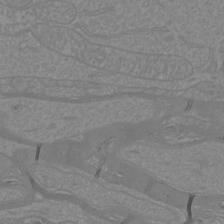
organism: Mouse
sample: Cortical neurons